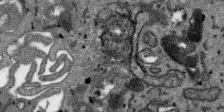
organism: Human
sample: Lung epithelial cells, uninfected (mock) control